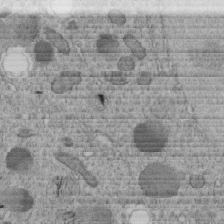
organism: C. elegans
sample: C. elegans embryo early stage